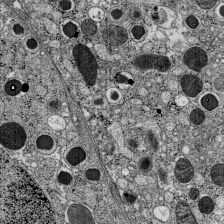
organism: C57BL Mouse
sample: Pancreatic islet